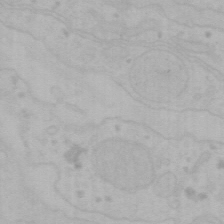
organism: Mouse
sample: Choroid plexus